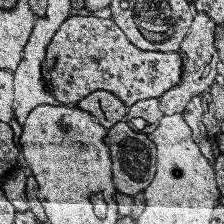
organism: Human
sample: Temporal Lobe